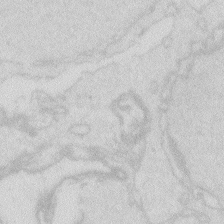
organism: Zebrafish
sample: Macrophage